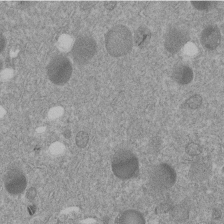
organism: C. elegans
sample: C. elegans embryo early stage